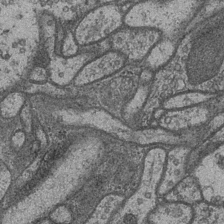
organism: Drosophila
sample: Optic medulla